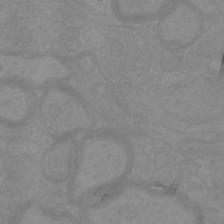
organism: Mouse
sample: Cortical neurons